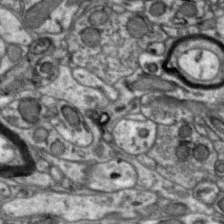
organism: Zebra finch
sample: Brain